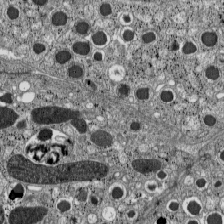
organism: C57BL Mouse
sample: Pancreatic islet